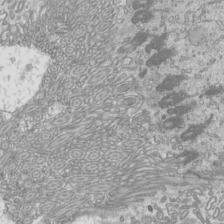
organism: Mouse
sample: Cilia; mouse epididymis